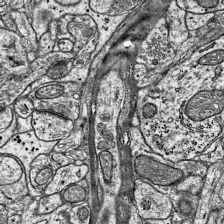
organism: Mouse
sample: Visual Cortex